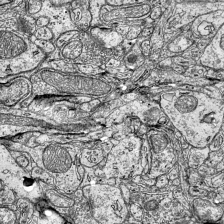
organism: Mouse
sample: Visual Cortex